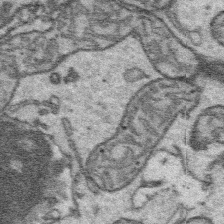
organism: Platynereis dumerilii